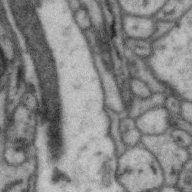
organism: Zebra finch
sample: Brain